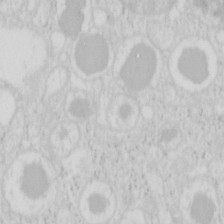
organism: Mouse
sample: Pancreas